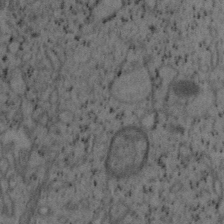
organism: Human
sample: HeLa cells